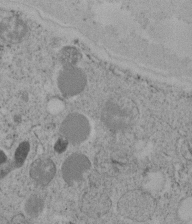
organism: C. elegans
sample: C. elegans embryo early stage